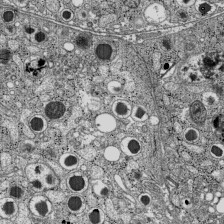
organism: C57BL Mouse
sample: Pancreatic islet